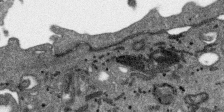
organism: Human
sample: Lung epithelial cells, uninfected (mock) control